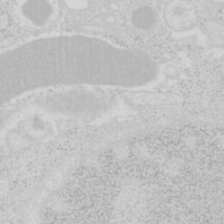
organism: Mouse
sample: Pancreas